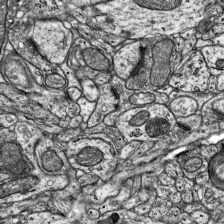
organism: Mouse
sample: Visual Cortex